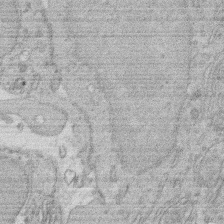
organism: Rat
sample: Salivary granule